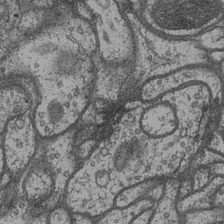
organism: Drosophila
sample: Optic medulla